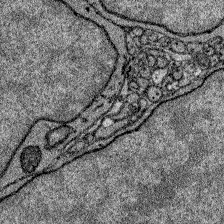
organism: Zebrafish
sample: Larval olfactory bulb